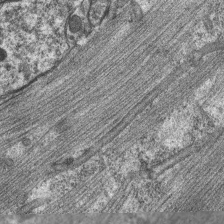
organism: C. elegans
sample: Pharynx